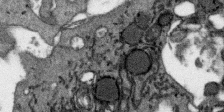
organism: Human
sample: Lung epithelial cells, uninfected (mock) control